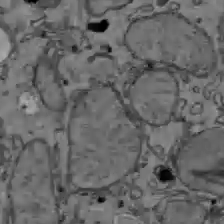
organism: C57BL Mouse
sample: Liver